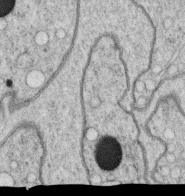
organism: C. elegans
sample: C. elegans oocyte; sperm cells